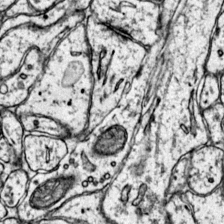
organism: Mouse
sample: Primary visual cortex